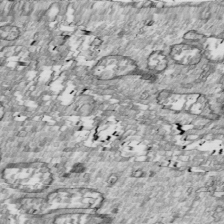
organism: Drosophila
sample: Cell division; meiosis; drosophila spermatocytes